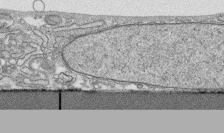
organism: Human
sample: CRL-1474